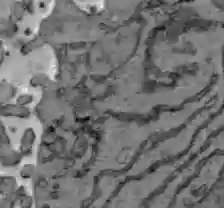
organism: C57BL Mouse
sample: Liver